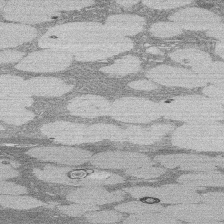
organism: Rat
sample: Salivary granule